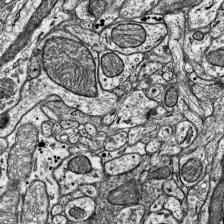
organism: Mouse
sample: Visual Cortex